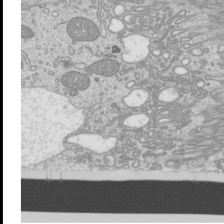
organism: Mouse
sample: Cilia; mouse epididymis